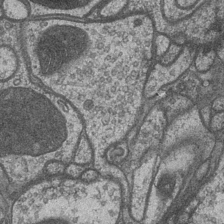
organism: Drosophila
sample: Optic medulla